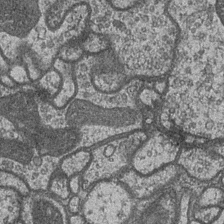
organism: Drosophila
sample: Optic medulla